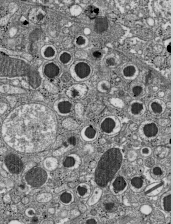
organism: C57BL Mouse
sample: Pancreatic islet